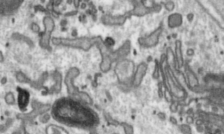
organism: Toxoplasma gondii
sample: Parasites in a vacuole inside a host cell